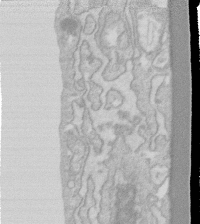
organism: Human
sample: Fibroblast cells